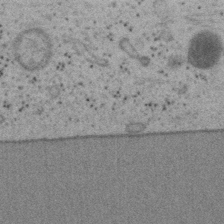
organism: Human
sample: HeLa cells